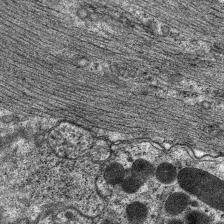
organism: C. elegans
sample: Pharynx